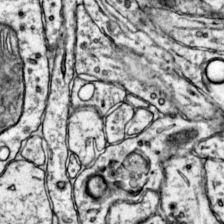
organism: Mouse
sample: Primary visual cortex